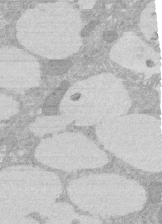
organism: Rat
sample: Salivary granule